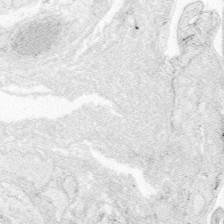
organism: Zebrafish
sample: Whole-Brain